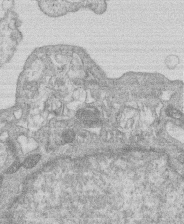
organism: Human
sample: Macrophage cells